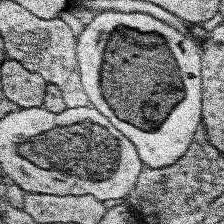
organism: Human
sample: Temporal Lobe